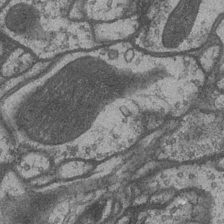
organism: Drosophila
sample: Optic medulla